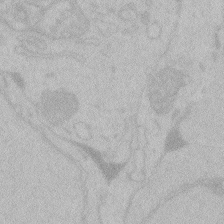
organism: Zebrafish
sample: Macrophage infected with Toxoplasma gondii